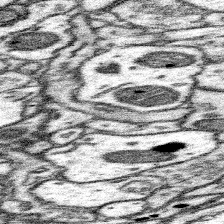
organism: Mouse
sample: Somatosensory cortex neuropil